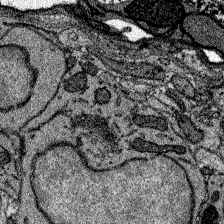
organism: Zebrafish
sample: Larval olfactory bulb